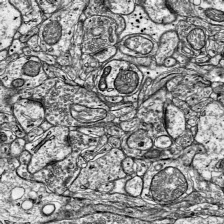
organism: Mouse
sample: Visual Cortex